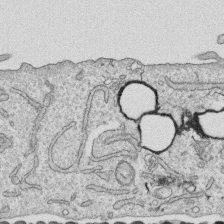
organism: Human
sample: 1205lu cells